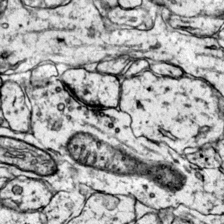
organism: Mouse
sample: Primary visual cortex